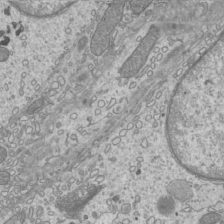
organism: Mouse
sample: Cilia; mouse epididymis